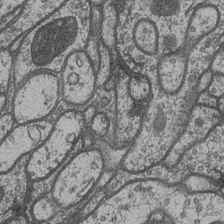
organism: Drosophila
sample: Optic medulla